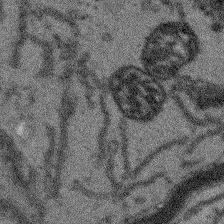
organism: Arabidopsis thaliana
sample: Root tip